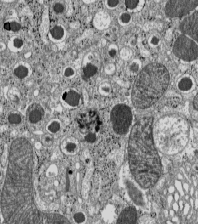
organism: C57BL Mouse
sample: Pancreatic islet